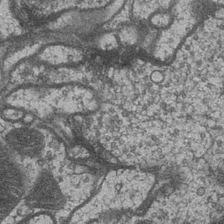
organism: Drosophila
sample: Optic medulla